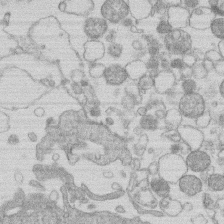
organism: Human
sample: Macrophage cells